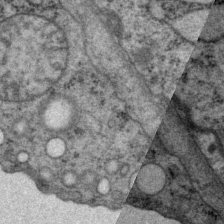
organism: P. pacificus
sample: Pharynx